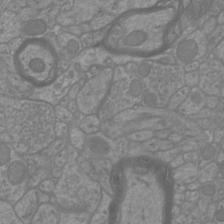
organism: Mouse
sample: Cortical neurons